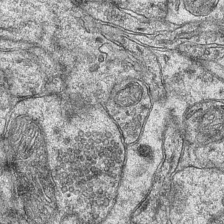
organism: Mouse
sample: CA1 Hippocampus